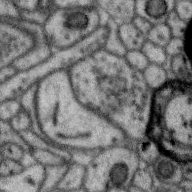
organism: Zebra finch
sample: Brain